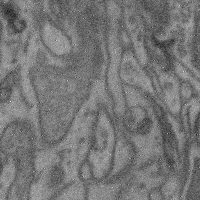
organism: Mouse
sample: Cerebral cortex